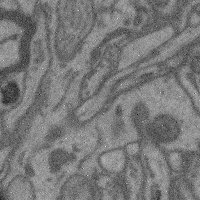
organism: Mouse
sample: Cerebral cortex